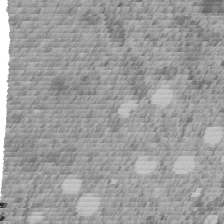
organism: C. elegans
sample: C. elegans embryo early stage